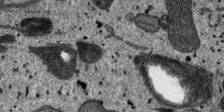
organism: Human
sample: Lung epithelial cells, uninfected (mock) control